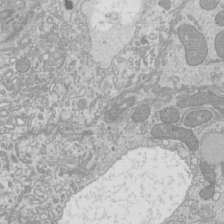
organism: Mouse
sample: Cilia; mouse epididymis